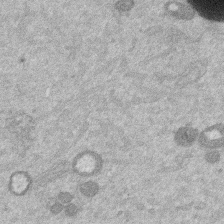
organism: Mouse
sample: Dividing mouse embryo 1 cell stage